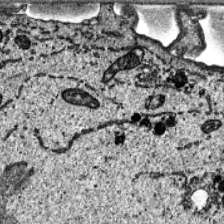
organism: Human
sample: HeLa cells